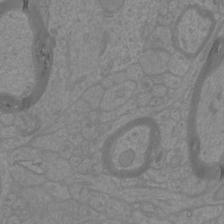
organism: Mouse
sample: Cortical neurons